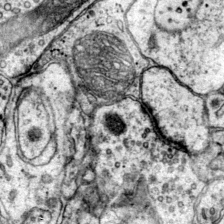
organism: Mouse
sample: Primary visual cortex